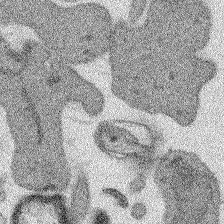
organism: Human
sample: HeLa cells